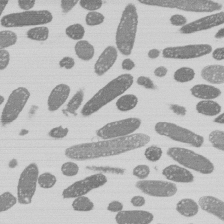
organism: E. coli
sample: Bacterial nucleoid